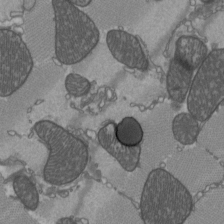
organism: C57BL Mouse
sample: Heart